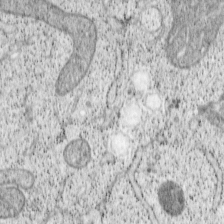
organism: African green monkey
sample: COS-7 cells